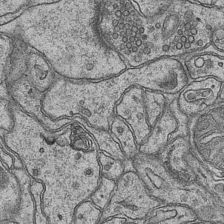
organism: Mouse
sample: CA1 Hippocampus